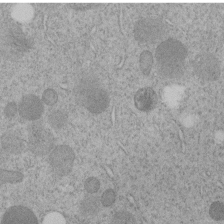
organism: C. elegans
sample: C. elegans embryo early stage